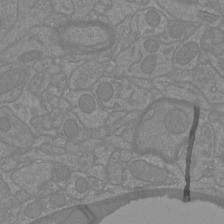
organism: Mouse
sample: Cortical neurons